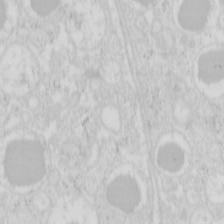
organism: Mouse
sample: Pancreas